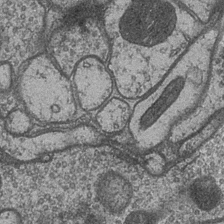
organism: Drosophila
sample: Optic medulla